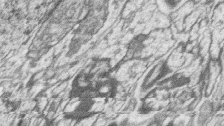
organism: Zebrafish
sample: synaptic ribbons in rod cells and cone cells